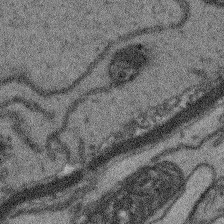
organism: Arabidopsis thaliana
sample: Root tip